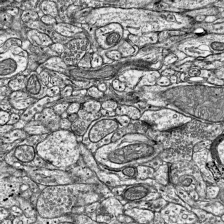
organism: Mouse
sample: Visual Cortex